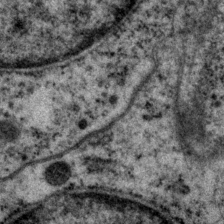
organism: P. pacificus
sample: Pharynx